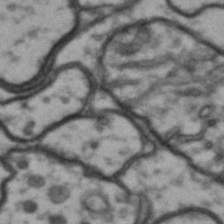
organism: Drosophila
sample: Brain